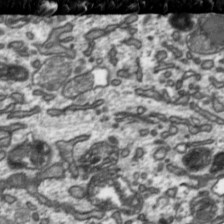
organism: Toxoplasma gondii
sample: Parasites in a vacuole inside a host cell